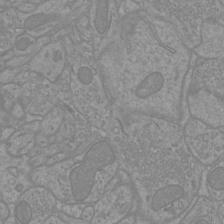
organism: Mouse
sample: Cortical neurons